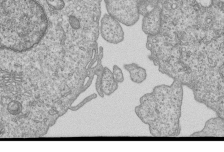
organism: Human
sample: MDA-MB-231 cells